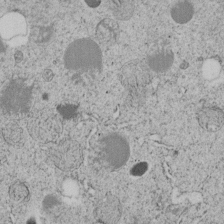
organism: C. elegans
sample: C. elegans embryo early stage